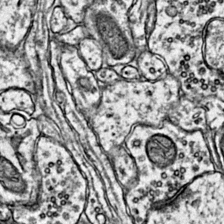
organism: Mouse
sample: Primary visual cortex